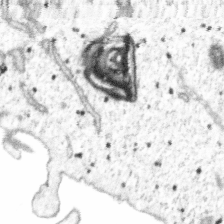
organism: Human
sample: HeLa cells